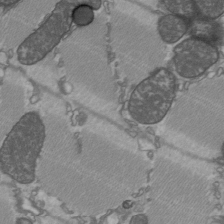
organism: C57BL Mouse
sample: Heart